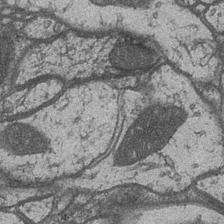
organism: Drosophila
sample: Optic medulla